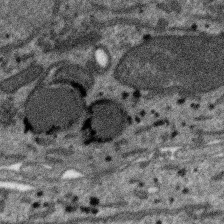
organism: Human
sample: Lung epithelial cells infected with SARS-CoV-2